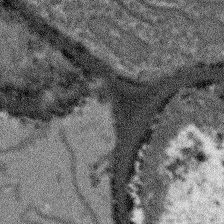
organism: Arabidopsis thaliana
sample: Root tip